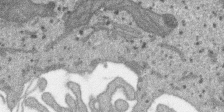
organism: Human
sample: Lung epithelial cells infected with SARS-CoV-2